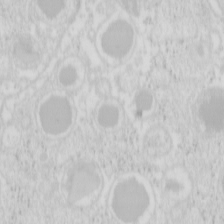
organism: Mouse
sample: Pancreas